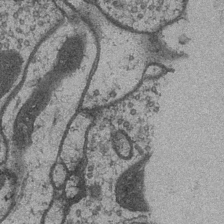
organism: Drosophila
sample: Optic medulla